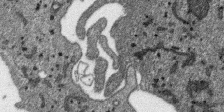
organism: Human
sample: Lung epithelial cells infected with SARS-CoV-2